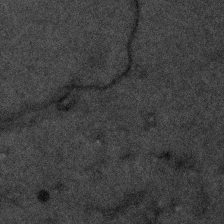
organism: Human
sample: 1205lu cells